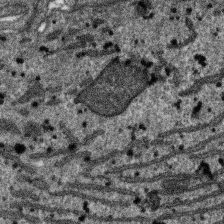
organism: Human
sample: Lung epithelial cells infected with SARS-CoV-2